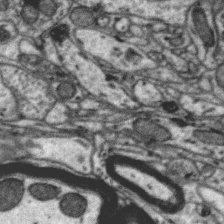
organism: Zebra finch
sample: Brain